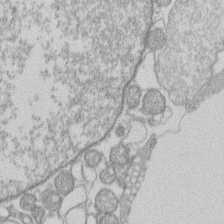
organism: Human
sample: Macrophage cells